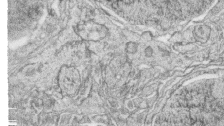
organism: Zebrafish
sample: synaptic ribbons in rod cells and cone cells